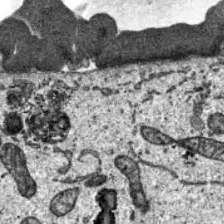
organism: Human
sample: HeLa cells